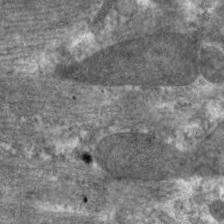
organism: C. elegans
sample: Pharynx